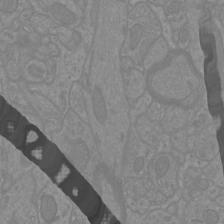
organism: Mouse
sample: Cortical neurons